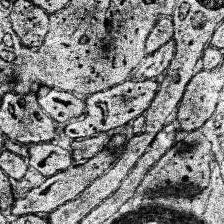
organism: Human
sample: Temporal Lobe